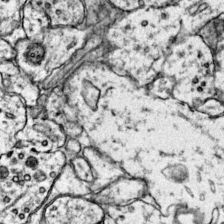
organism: Mouse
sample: Primary visual cortex